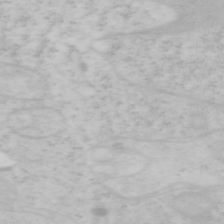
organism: Mouse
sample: OT-I killer T cells with ID8 ovarian cancer cells